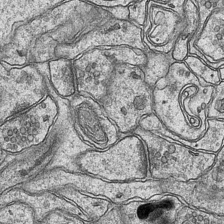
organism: Mouse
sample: CA1 Hippocampus